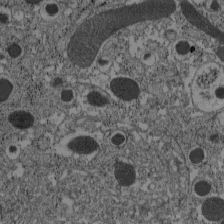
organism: C57BL Mouse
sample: Pancreatic islet